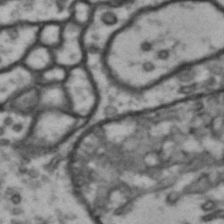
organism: Drosophila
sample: Brain